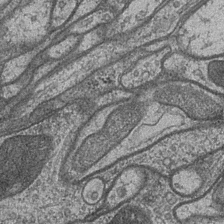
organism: Drosophila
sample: Optic medulla